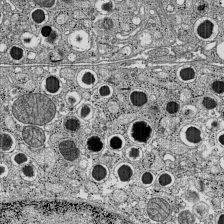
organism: C57BL Mouse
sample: Pancreatic islet